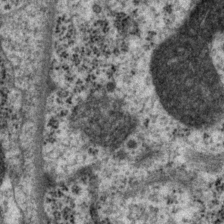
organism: P. pacificus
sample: Pharynx